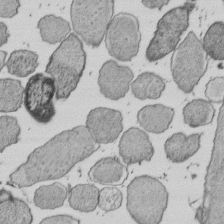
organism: E. coli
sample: Bacterial nucleoid